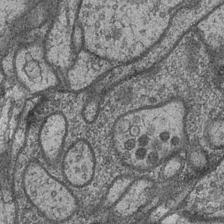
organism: Drosophila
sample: Optic medulla